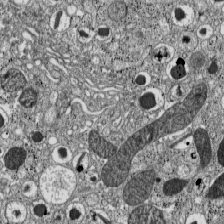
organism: C57BL Mouse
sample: Pancreatic islet